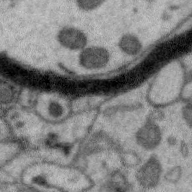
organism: Zebra finch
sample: Brain